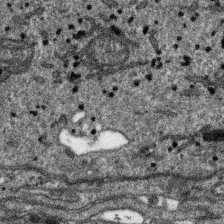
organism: Human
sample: Lung epithelial cells infected with SARS-CoV-2